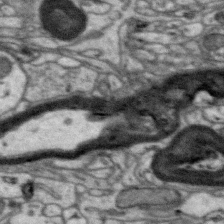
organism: Zebra finch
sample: Brain